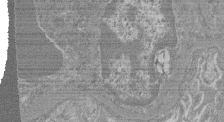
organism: Mouse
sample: Glomerulus